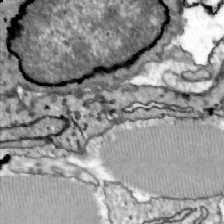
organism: Zebrafish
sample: Actinotrichia fibers